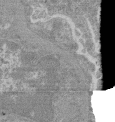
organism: Mouse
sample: Glomerulus